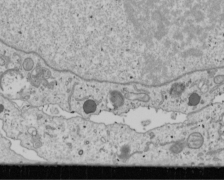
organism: Human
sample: Mitochondria in U2OS cells